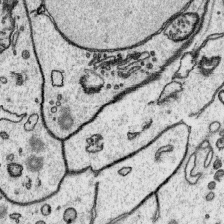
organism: Platynereis dumerilii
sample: Parapodia